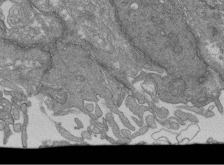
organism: Human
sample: Retinal organoid Rod and Cone cells